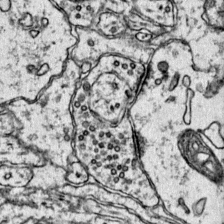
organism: Mouse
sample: Primary visual cortex